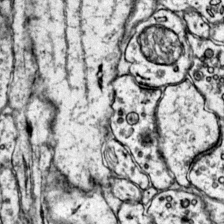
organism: Mouse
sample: Primary visual cortex